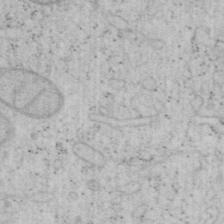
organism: Human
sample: HeLa cells